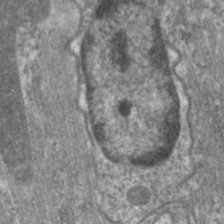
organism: C. elegans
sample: Pharynx